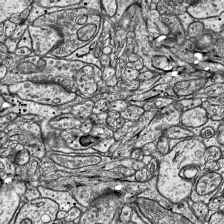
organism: Mouse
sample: Visual Cortex